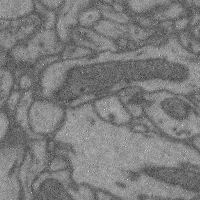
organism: Mouse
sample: Cerebral cortex